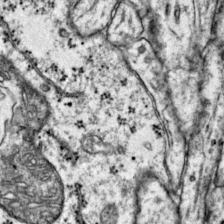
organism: Mouse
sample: Primary visual cortex